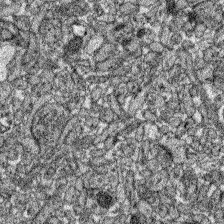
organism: Zebrafish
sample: Larval olfactory bulb